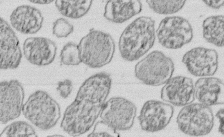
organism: E. coli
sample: Bacterial nucleoid